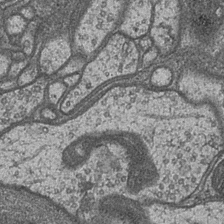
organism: Drosophila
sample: Optic medulla